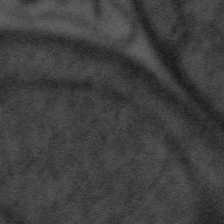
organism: Tuwongella immobilis